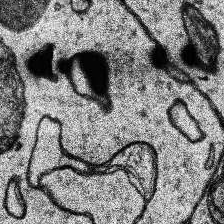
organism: Human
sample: Temporal Lobe